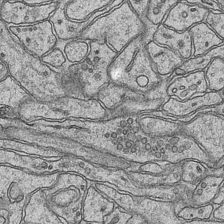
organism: Mouse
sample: CA1 Hippocampus